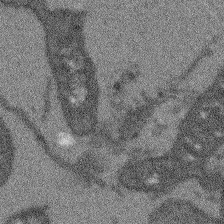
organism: Arabidopsis thaliana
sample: Root tip